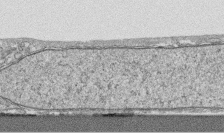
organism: Human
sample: CRL-1474